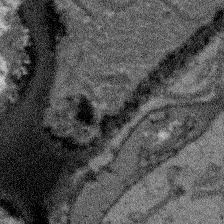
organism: Arabidopsis thaliana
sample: Root tip